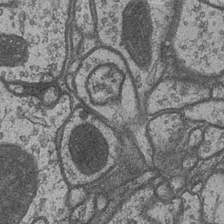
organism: Drosophila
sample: Optic medulla